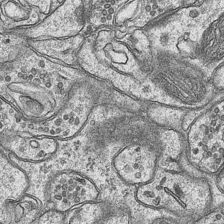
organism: Mouse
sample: CA1 Hippocampus